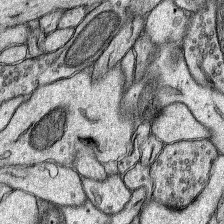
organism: Rat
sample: Hippocampus